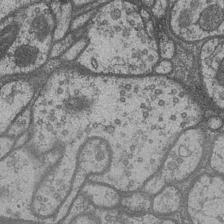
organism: Drosophila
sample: Optic medulla